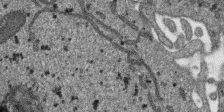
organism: Human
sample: Lung epithelial cells infected with SARS-CoV-2